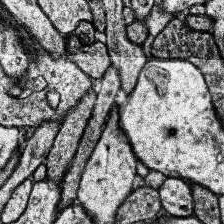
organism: Human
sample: Temporal Lobe